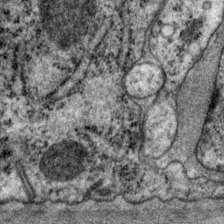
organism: P. pacificus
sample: Pharynx